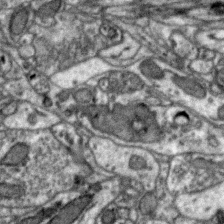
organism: Zebra finch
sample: Brain